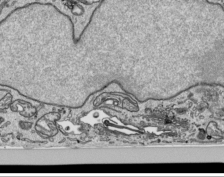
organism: Human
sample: Mitochondria in HCT116 cells